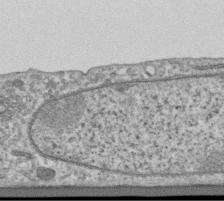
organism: Human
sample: Centriole in RPE cells